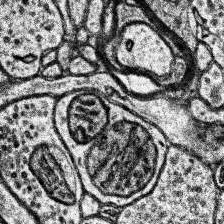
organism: Human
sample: Temporal Lobe